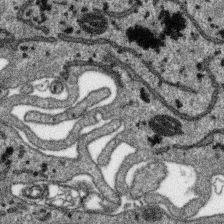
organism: Human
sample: Lung epithelial cells infected with SARS-CoV-2